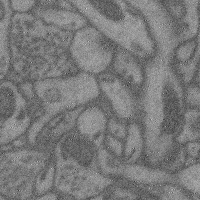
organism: Mouse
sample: Cerebral cortex